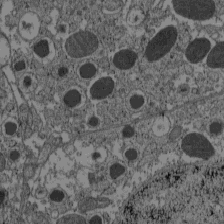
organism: C57BL Mouse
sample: Pancreatic islet